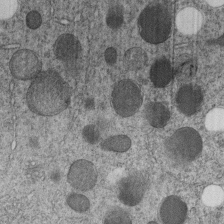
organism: C. elegans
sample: C. elegans embryo early stage